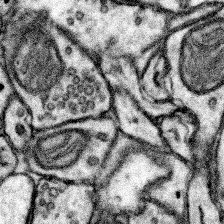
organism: Mouse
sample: Somatosensory cortex neuropil